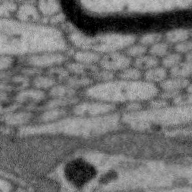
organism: Zebra finch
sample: Brain